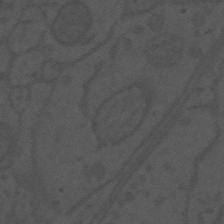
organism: Mouse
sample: Suprachiasmatic nucleus